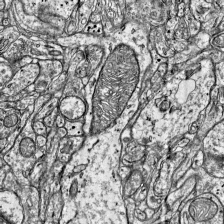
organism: Mouse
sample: Visual Cortex